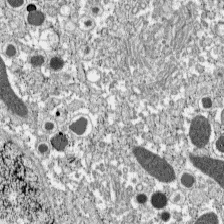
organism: C57BL Mouse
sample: Pancreatic islet